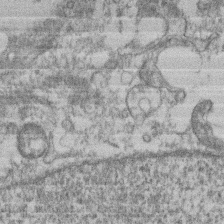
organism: Mouse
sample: T cell stromal cell synapse